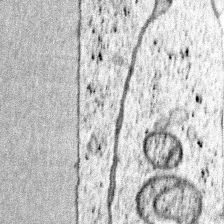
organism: Human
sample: HeLa cells